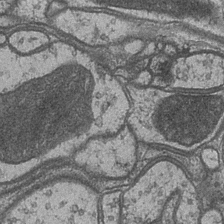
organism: Drosophila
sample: Optic medulla